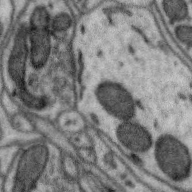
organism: Zebra finch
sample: Brain